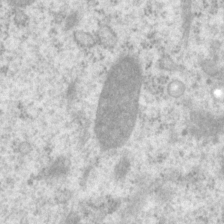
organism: P. pacificus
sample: Pharynx